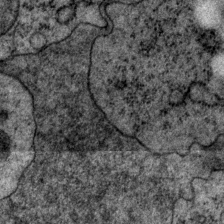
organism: P. pacificus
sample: Pharynx